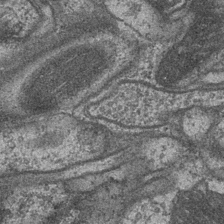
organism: Drosophila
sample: Optic medulla